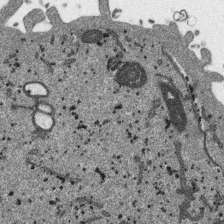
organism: Human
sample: Lung epithelial cells infected with SARS-CoV-2